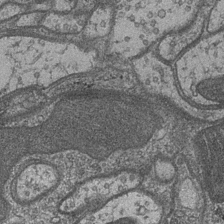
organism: Drosophila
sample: Optic medulla